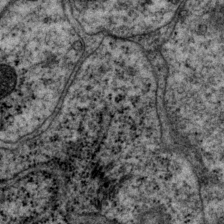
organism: P. pacificus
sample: Pharynx